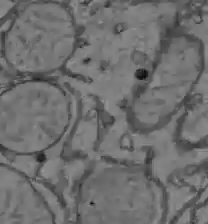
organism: C57BL Mouse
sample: Liver